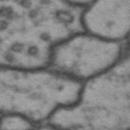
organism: Drosophila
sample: Brain